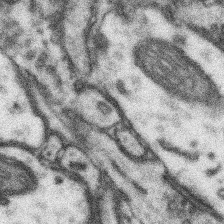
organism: Mouse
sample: Somatosensory cortex neuropil